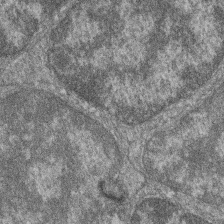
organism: Zebrafish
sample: Cilia; retinal pigment epithelium